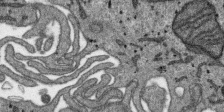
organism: Human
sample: Lung epithelial cells, uninfected (mock) control